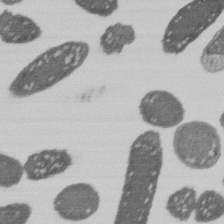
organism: E. coli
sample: Bacterial nucleoid